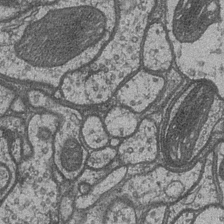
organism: Drosophila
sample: Optic medulla